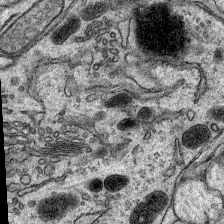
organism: Rat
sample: Hippocampus